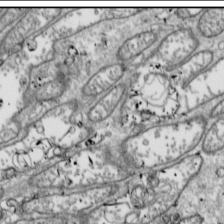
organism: Drosophila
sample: Cell division; meiosis; drosophila spermatocytes